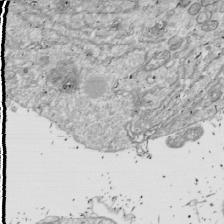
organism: Drosophila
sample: Cell division; meiosis; drosophila spermatocytes